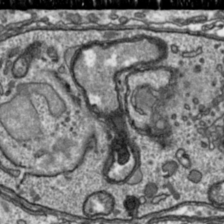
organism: Toxoplasma gondii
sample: Parasites in a vacuole inside a host cell